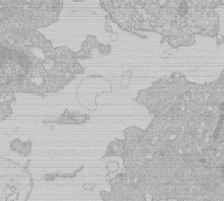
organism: Human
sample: Macrophage cells